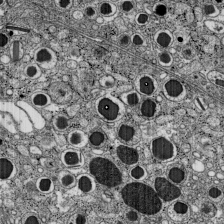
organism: C57BL Mouse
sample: Pancreatic islet